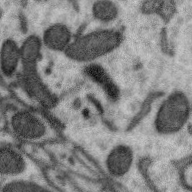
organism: Zebra finch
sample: Brain